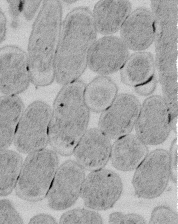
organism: E. coli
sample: Bacterial nucleoid